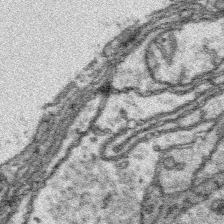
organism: Platynereis dumerilii